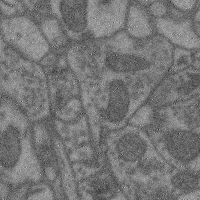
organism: Mouse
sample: Cerebral cortex